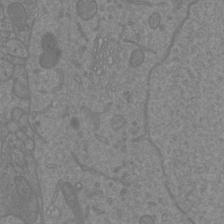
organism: Mouse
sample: Cortical neurons